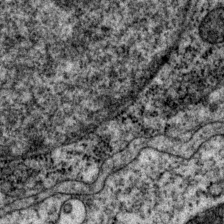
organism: P. pacificus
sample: Pharynx